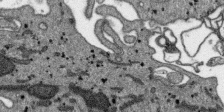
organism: Human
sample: Lung epithelial cells, uninfected (mock) control